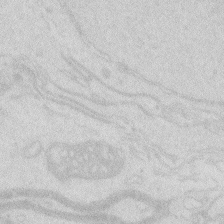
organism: Zebrafish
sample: Macrophage